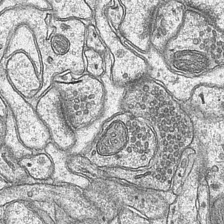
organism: Mouse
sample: CA1 Hippocampus